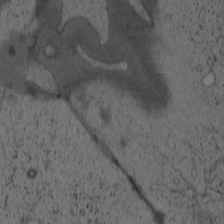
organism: African green monkey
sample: COS-7 cells